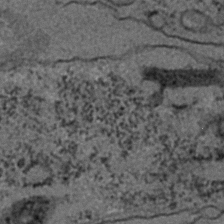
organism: C. elegans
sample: C. elegans embryo